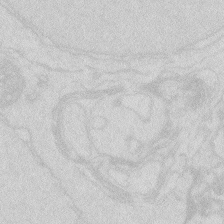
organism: Zebrafish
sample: Macrophage